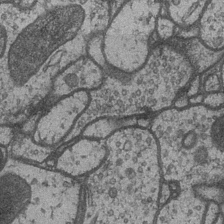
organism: Drosophila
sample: Optic medulla